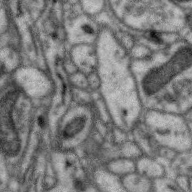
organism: Zebra finch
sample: Brain